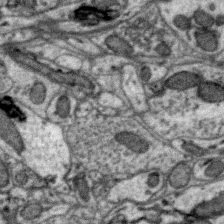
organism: Zebra finch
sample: Brain